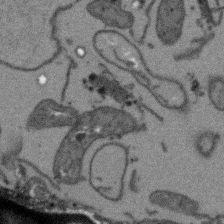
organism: Arabidopsis thaliana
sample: Root tip